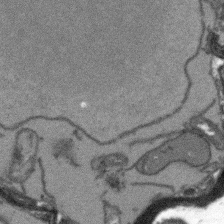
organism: Arabidopsis thaliana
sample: Root tip